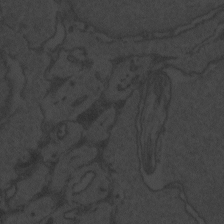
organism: Zebrafish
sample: Macrophage infected with Toxoplasma gondii